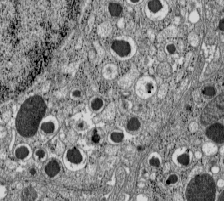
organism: C57BL Mouse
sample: Pancreatic islet